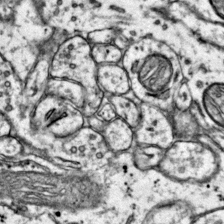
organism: Mouse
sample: Primary visual cortex